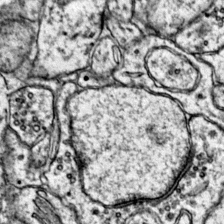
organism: Mouse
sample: Primary visual cortex